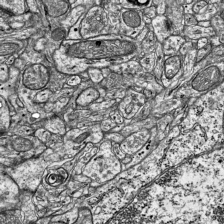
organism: Mouse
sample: Visual Cortex